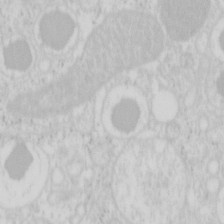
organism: Mouse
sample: Pancreas